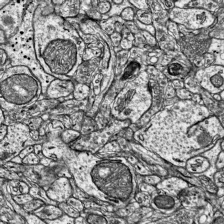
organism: Mouse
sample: Visual Cortex